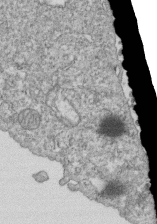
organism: Human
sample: HeLa cell HIV synapse